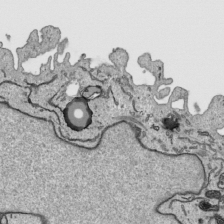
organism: Human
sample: Mitochondria in HCT116 cells